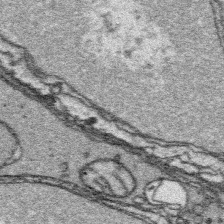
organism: Platynereis dumerilii